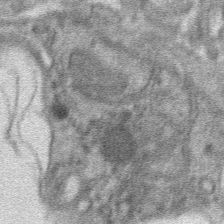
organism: Mouse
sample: Mouse hepatocytes